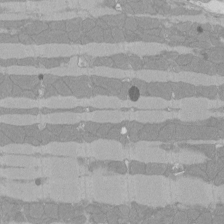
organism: Rat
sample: Left ventricle